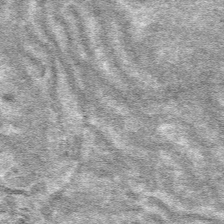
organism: Mouse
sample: Mouse hepatocytes